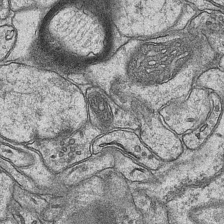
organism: Mouse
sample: CA1 Hippocampus